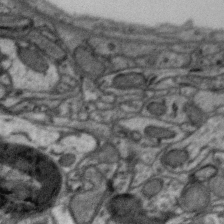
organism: Zebra finch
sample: Brain